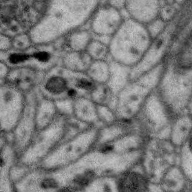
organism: Zebra finch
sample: Brain